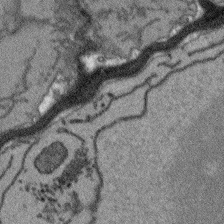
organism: Arabidopsis thaliana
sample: Root tip